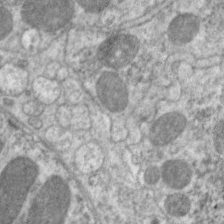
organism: C. elegans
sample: Pharynx